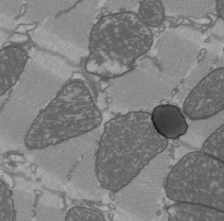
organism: C57BL Mouse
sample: Heart